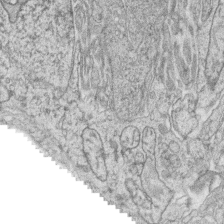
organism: Zebrafish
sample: synaptic ribbons in rod cells and cone cells